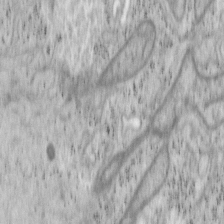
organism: Human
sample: HeLa cells